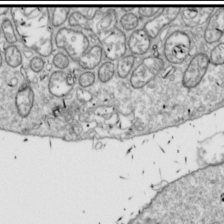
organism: Drosophila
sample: Cell division; meiosis; drosophila spermatocytes